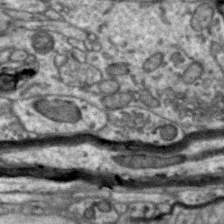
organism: Zebra finch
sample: Brain